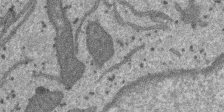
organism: Human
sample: Lung epithelial cells infected with SARS-CoV-2